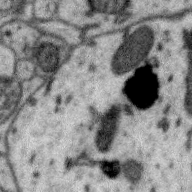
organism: Zebra finch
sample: Brain